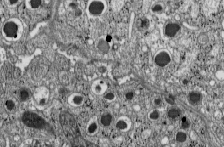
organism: C57BL Mouse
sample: Pancreatic islet